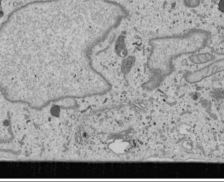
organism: Human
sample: Mitochondria in U2OS cells